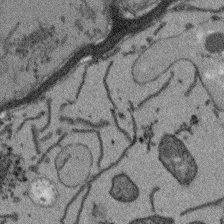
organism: Arabidopsis thaliana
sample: Root tip